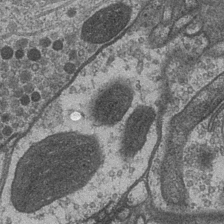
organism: Drosophila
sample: Optic medulla